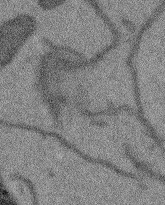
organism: Arabidopsis thaliana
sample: Root tip